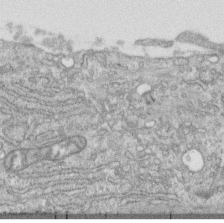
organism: Human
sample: Centriole in RPE cells